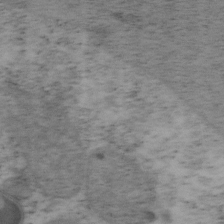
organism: Mouse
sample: OT-I killer T cells with ID8 ovarian cancer cells